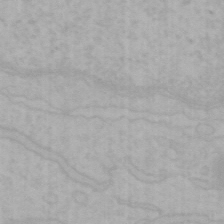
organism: Mouse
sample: Choroid plexus